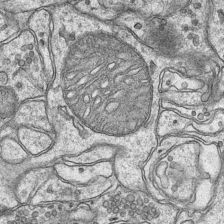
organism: Mouse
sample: CA1 Hippocampus